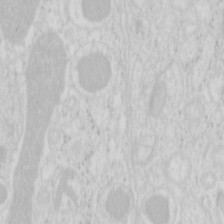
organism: Mouse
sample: Pancreas